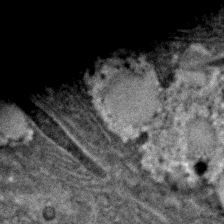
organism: C. elegans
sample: C. elegans embryo